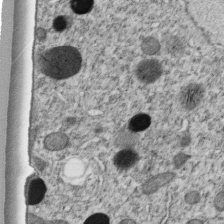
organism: C. elegans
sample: C. elegans embryo early stage